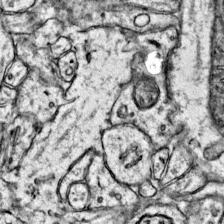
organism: Mouse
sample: Primary visual cortex